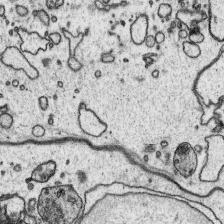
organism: Platynereis dumerilii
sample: Parapodia